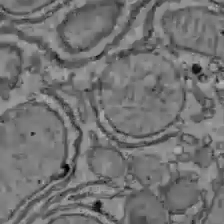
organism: C57BL Mouse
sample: Liver